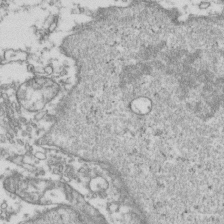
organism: Human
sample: Activated Jurkat CD4+ T cells